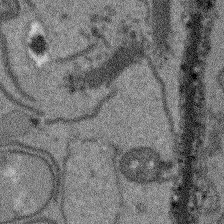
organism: Arabidopsis thaliana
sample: Root tip